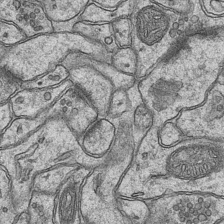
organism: Mouse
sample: CA1 Hippocampus